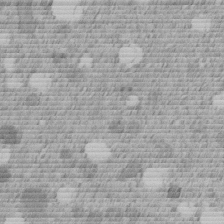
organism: C. elegans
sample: C. elegans embryo early stage